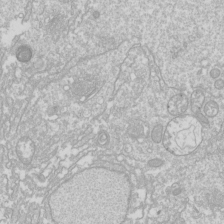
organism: Drosophila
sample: Cell division; meiosis; drosophila spermatocytes